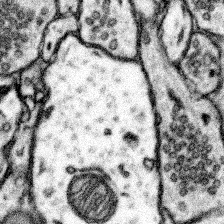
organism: Mouse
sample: Somatosensory cortex neuropil